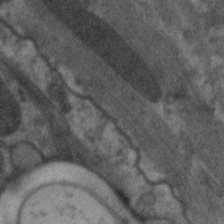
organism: C. elegans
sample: Pharynx